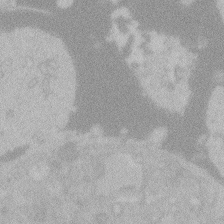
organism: Zebrafish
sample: Macrophage infected with Toxoplasma gondii